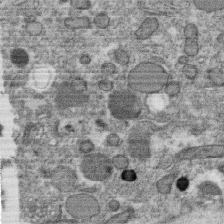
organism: C. elegans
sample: C. elegans oocyte; sperm cells